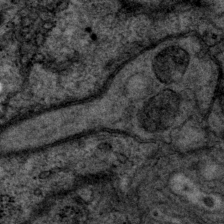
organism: P. pacificus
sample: Pharynx